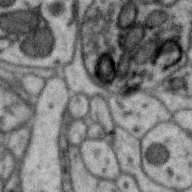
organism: Zebra finch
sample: Brain